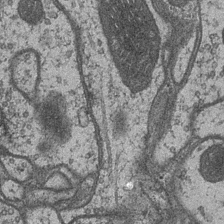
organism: Drosophila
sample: Optic medulla